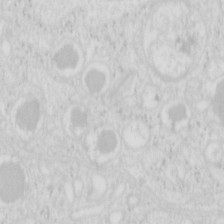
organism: Mouse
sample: Pancreas